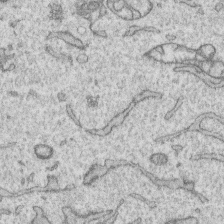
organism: Human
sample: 1205lu cells